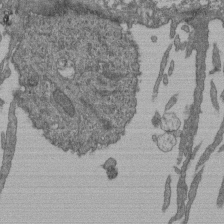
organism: Human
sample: Retinal organoid Rod and Cone cells